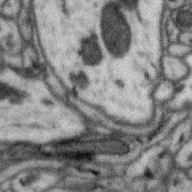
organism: Zebra finch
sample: Brain